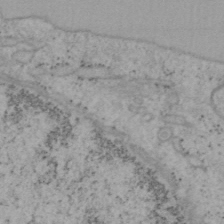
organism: Human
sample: HeLa cells